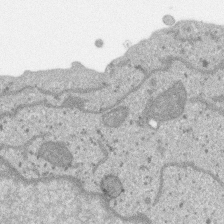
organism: Human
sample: Lung epithelial cells infected with SARS-CoV-2